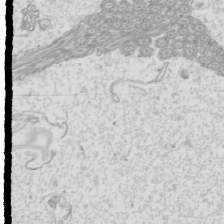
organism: Mouse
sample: Cilia; mouse epididymis